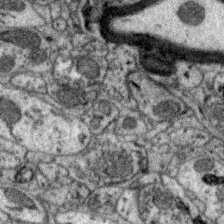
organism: Zebra finch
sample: Brain